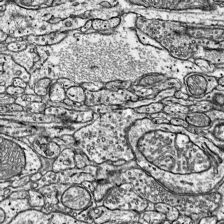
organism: Mouse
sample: Visual Cortex